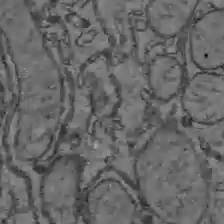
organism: C57BL Mouse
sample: Liver